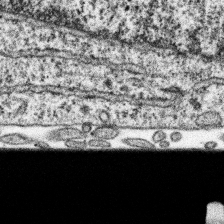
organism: Human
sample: HeLa cells